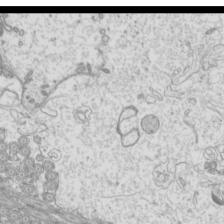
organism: Mouse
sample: Cilia; mouse epididymis